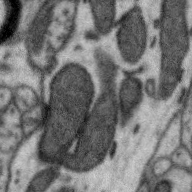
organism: Zebra finch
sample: Brain